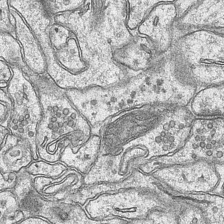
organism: Mouse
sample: CA1 Hippocampus